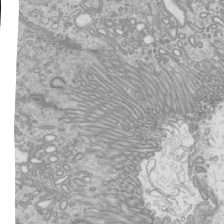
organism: Mouse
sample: Cilia; mouse epididymis